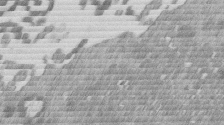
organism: Mouse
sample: Dividing mouse embryo 1 cell stage